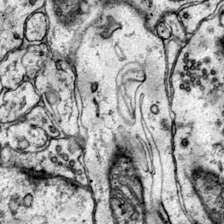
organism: Mouse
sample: Primary visual cortex